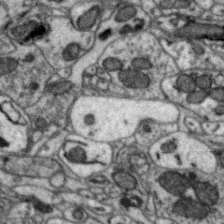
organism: Zebra finch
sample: Brain